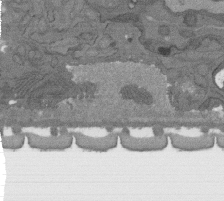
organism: C. elegans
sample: AFD neurons C. elegans